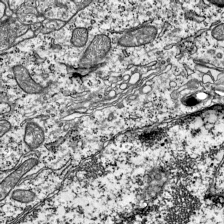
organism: Mouse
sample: Visual Cortex